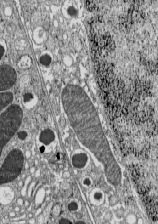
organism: C57BL Mouse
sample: Pancreatic islet